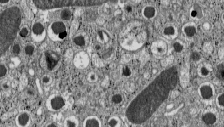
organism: C57BL Mouse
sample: Pancreatic islet